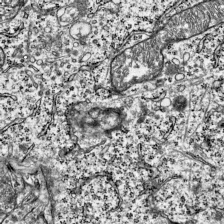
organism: Mouse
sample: Visual Cortex